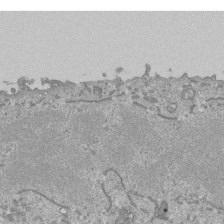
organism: Mouse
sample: ED-1 cell nuclei; centrioles